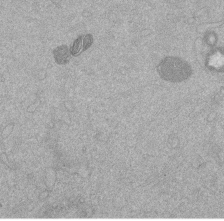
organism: Mouse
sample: Dividing mouse embryo 1 cell stage